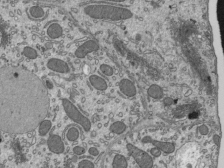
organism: Mouse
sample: Mouse epididymis efferent ductule cilia